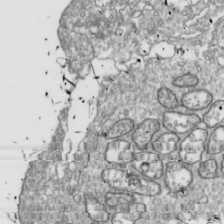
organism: Drosophila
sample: Cell division; meiosis; drosophila spermatocytes